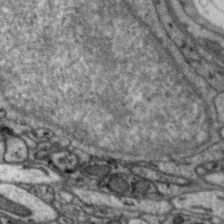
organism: Zebra finch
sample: Brain